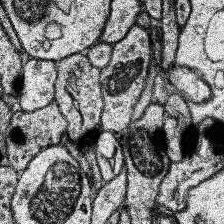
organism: Human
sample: Temporal Lobe